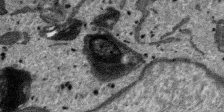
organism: Human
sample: Lung epithelial cells, uninfected (mock) control